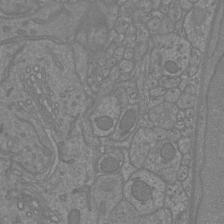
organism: Mouse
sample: Cortical neurons